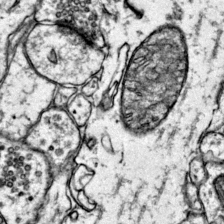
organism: Mouse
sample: Primary visual cortex